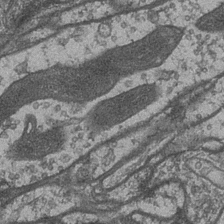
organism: Drosophila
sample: Optic medulla